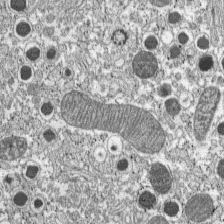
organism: C57BL Mouse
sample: Pancreatic islet